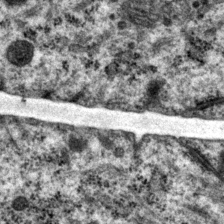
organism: P. pacificus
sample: Pharynx